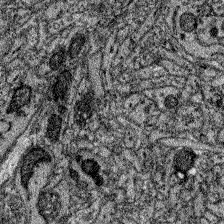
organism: Zebrafish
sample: Larval olfactory bulb